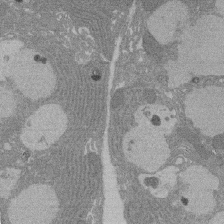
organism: Rat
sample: Salivary granule